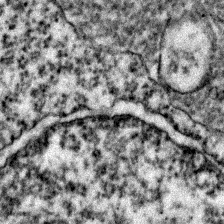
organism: Zebrafish